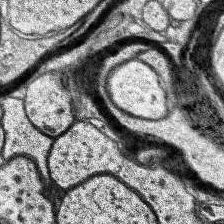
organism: Human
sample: Temporal Lobe